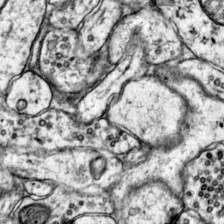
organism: Mouse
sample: Primary visual cortex